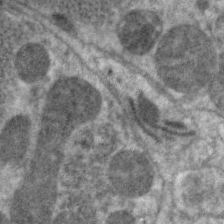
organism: C. elegans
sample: Pharynx